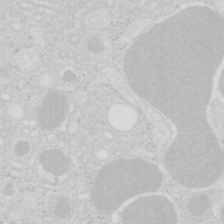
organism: Mouse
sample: Pancreas